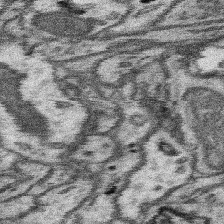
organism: Mouse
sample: Somatosensory cortex neuropil